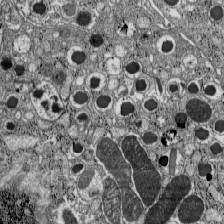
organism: C57BL Mouse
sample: Pancreatic islet